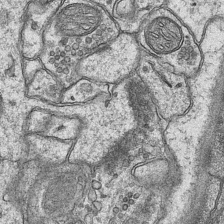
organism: Mouse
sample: CA1 Hippocampus